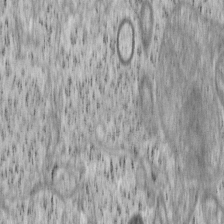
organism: Human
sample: HeLa cells